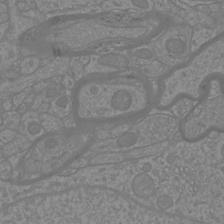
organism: Mouse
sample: Cortical neurons